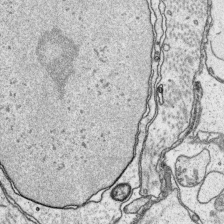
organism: Platynereis dumerilii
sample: Parapodia